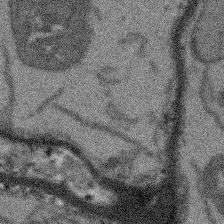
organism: Arabidopsis thaliana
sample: Root tip